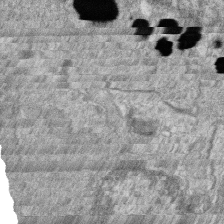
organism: Zebrafish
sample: Cilia; retinal pigment epithelium